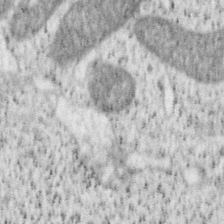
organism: Mouse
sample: OT-I killer T cells with ID8 ovarian cancer cells